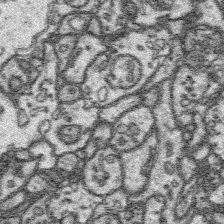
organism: Platynereis dumerilii